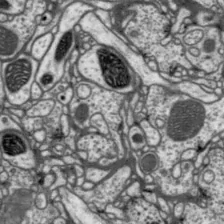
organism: Drosophila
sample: Protocerebral bridge